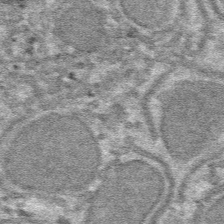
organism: Mouse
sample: Mouse hepatocytes